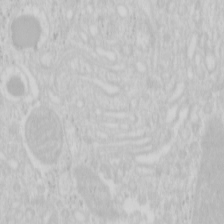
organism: Mouse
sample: Pancreas